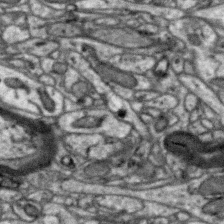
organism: Zebra finch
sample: Brain